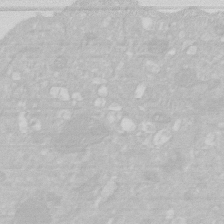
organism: Human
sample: HIV infected U937 cells